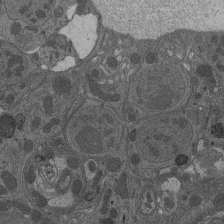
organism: Drosophila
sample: Antenna